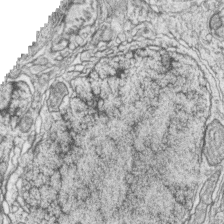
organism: Zebrafish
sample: synaptic ribbons in rod cells and cone cells